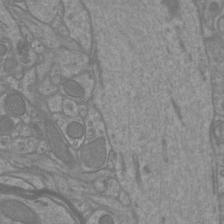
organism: Mouse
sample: Cortical neurons